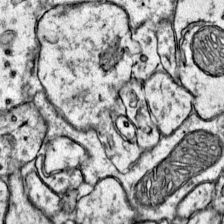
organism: Mouse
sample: Primary visual cortex